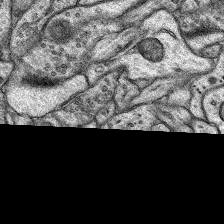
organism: Rat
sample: Hippocampus